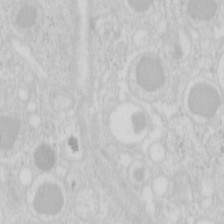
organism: Mouse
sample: Pancreas